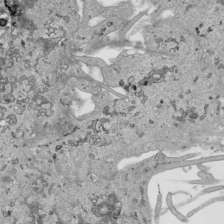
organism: Human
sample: Mitochondria in HCT116 cells